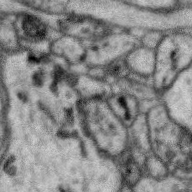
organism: Zebra finch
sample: Brain